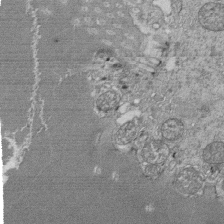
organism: Tetrahymena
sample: Cilia in tetrahymena